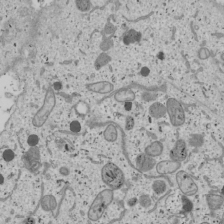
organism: Human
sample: Mitochondria in U2OS cells